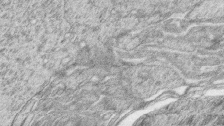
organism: Zebrafish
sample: synaptic ribbons in rod cells and cone cells